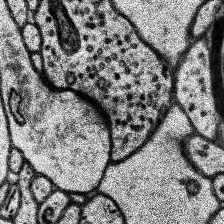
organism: Human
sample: Temporal Lobe